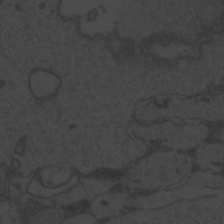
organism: Zebrafish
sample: Macrophage infected with Toxoplasma gondii